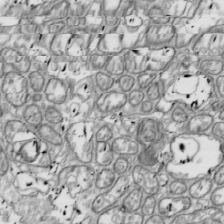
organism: Drosophila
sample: Cell division; meiosis; drosophila spermatocytes